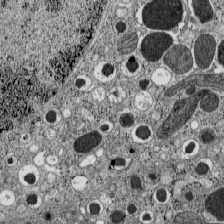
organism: C57BL Mouse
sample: Pancreatic islet